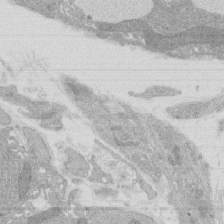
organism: Rat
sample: Salivary granule